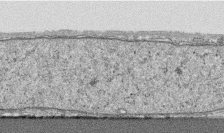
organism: Human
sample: CRL-1474